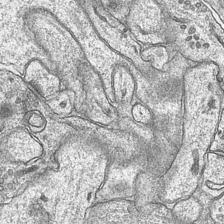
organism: Mouse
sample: CA1 Hippocampus